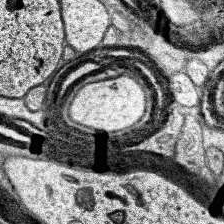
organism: Human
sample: Temporal Lobe